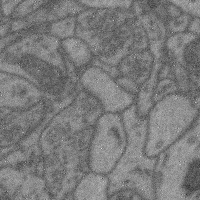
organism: Mouse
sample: Cerebral cortex